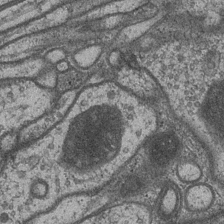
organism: Drosophila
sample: Optic medulla